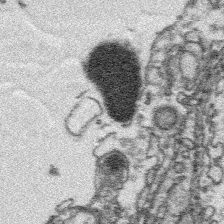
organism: Platynereis dumerilii